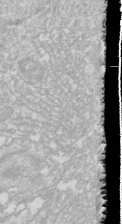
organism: Drosophila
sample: Cell division; meiosis; drosophila spermatocytes